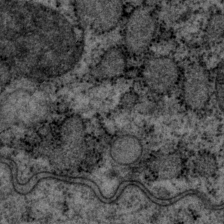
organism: P. pacificus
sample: Pharynx